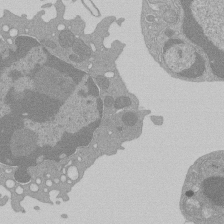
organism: Mouse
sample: Activated Pmel transgenic CD8+ T Cells